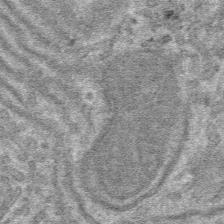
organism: Mouse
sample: Mouse hepatocytes